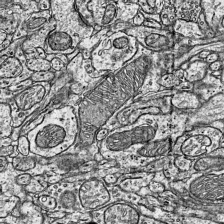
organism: Mouse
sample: Visual Cortex